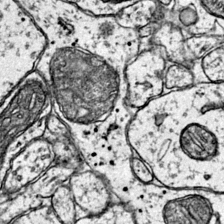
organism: Mouse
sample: Primary visual cortex